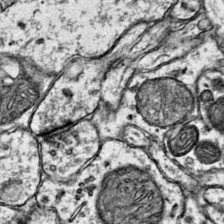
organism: Mouse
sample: Primary visual cortex